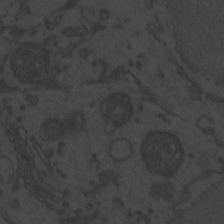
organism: Zebrafish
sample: Macrophage infected with Toxoplasma gondii